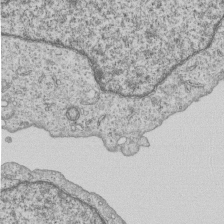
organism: Human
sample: MDA-MB-231 cells